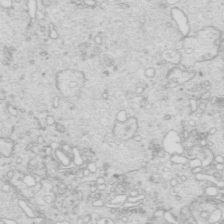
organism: Mouse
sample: Multiciliated cells